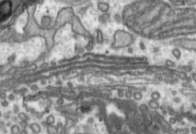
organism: Toxoplasma gondii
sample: Parasites in a vacuole inside a host cell